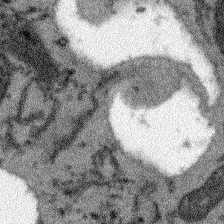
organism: Arabidopsis thaliana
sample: Root tip